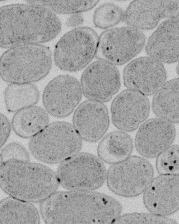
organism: E. coli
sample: Bacterial nucleoid